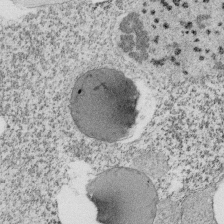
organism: Tetrahymena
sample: Cilia in tetrahymena